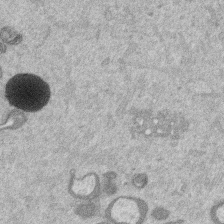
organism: Mouse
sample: Dividing mouse embryo 1 cell stage